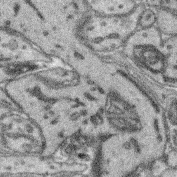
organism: Mouse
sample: Retina